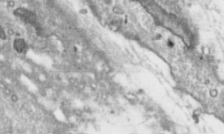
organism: Toxoplasma gondii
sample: Parasites in a vacuole inside a host cell